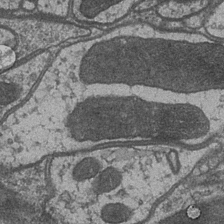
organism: Drosophila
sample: Optic medulla